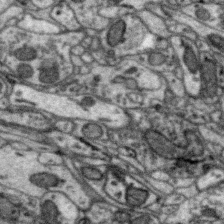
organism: Zebra finch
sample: Brain